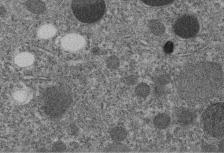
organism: C. elegans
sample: C. elegans embryo early stage